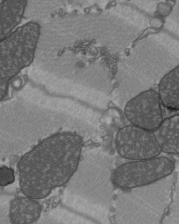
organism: C57BL Mouse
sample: Heart